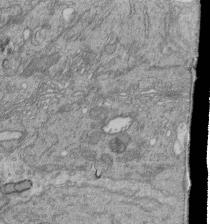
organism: Human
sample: Retinal organoid Rod and Cone cells